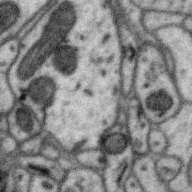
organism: Zebra finch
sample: Brain